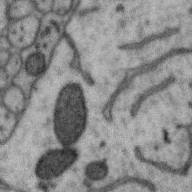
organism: Zebra finch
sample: Brain